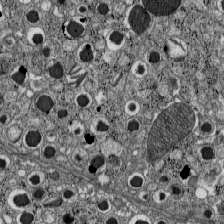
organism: C57BL Mouse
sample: Pancreatic islet